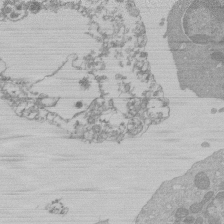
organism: Mouse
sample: Activated Pmel transgenic CD8+ T Cells